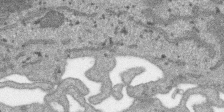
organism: Human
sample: Lung epithelial cells infected with SARS-CoV-2